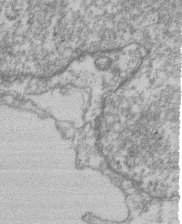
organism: Mouse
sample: T cell stromal cell synapse